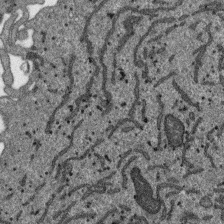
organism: Human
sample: Lung epithelial cells infected with SARS-CoV-2